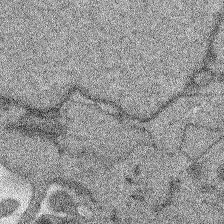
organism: Human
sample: HeLa cells